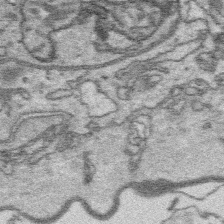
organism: Platynereis dumerilii